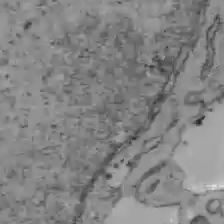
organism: C57BL Mouse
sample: Liver